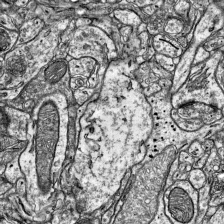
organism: Mouse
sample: Visual Cortex